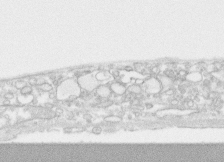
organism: Human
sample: CRL-1474